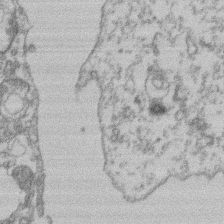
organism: Mouse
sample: T cell stromal cell synapse